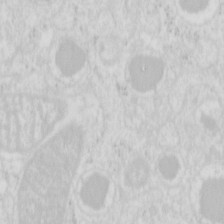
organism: Mouse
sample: Pancreas